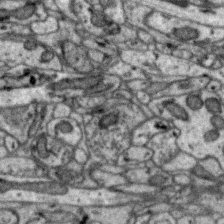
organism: Zebra finch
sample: Brain